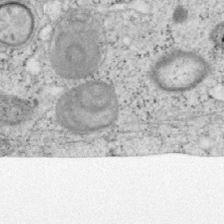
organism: Mouse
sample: OT-I killer T cells with ID8 ovarian cancer cells